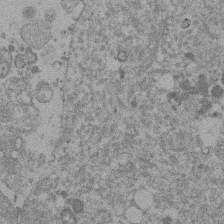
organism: Mouse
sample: Dividing mouse embryo 1 cell stage